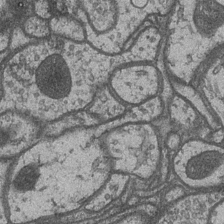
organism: Drosophila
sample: Optic medulla